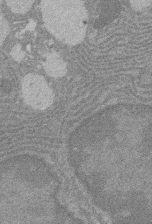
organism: Rat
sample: Salivary granule